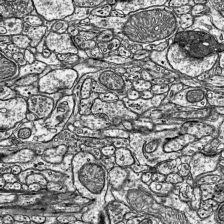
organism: Mouse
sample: Visual Cortex